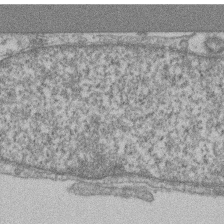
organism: Mouse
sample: T cell stromal cell synapse